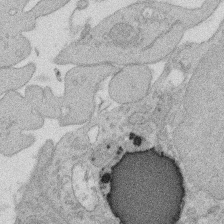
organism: Rat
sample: Salivary granule